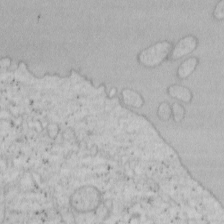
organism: Human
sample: HeLa cells